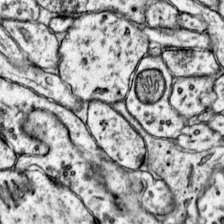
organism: Mouse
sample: Primary visual cortex